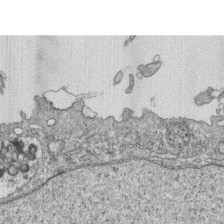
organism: Human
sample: HeLa cell HIV synapse